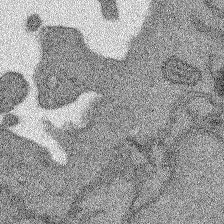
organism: Human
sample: HeLa cells